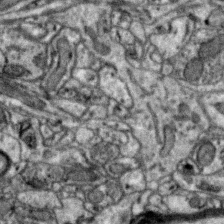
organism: Zebra finch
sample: Brain